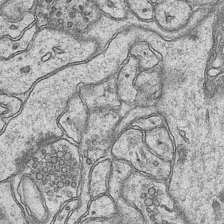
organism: Mouse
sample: CA1 Hippocampus